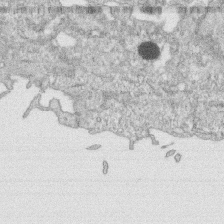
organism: Human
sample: HeLa cell HIV synapse